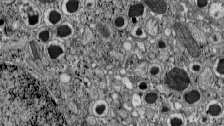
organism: C57BL Mouse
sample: Pancreatic islet